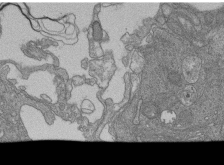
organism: Human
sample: Retinal organoid Rod and Cone cells